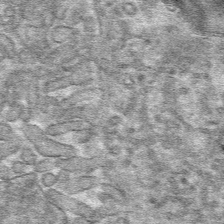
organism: Mouse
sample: Mouse hepatocytes